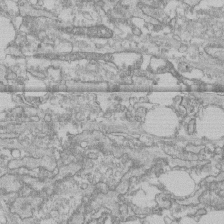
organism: Human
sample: CRL-1474